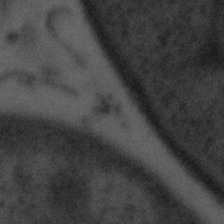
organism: Tuwongella immobilis